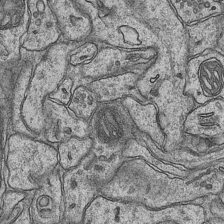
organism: Mouse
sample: CA1 Hippocampus